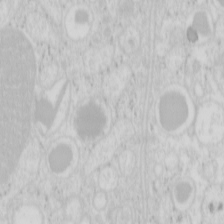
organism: Mouse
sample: Pancreas